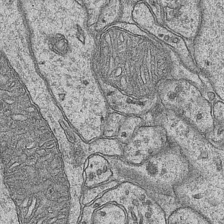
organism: Mouse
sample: CA1 Hippocampus